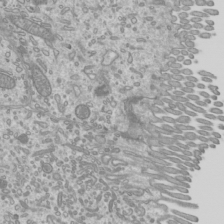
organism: Mouse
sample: Cilia; mouse epididymis